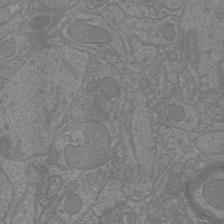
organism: Mouse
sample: Cortical neurons